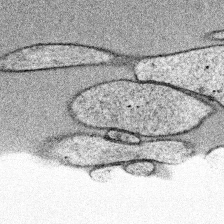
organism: Human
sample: HeLa cells